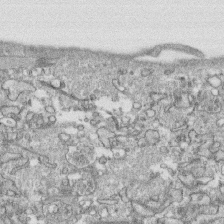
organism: Human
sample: CRL-1474